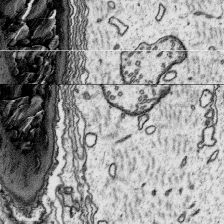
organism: Platynereis dumerilii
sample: Parapodia